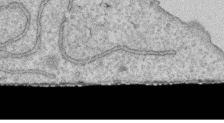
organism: Human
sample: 1205lu cells